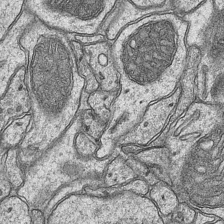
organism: Mouse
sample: CA1 Hippocampus